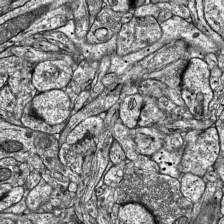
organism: Mouse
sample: Visual Cortex